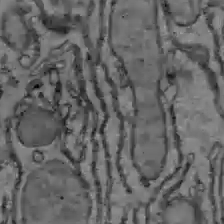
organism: C57BL Mouse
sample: Liver